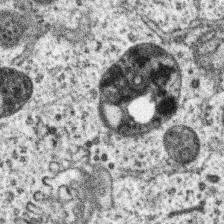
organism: Human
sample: HeLa cells